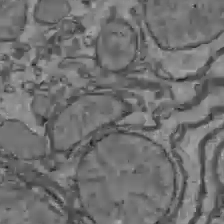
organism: C57BL Mouse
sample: Liver